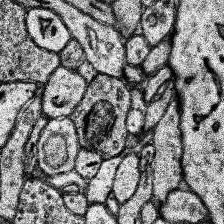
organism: Human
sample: Temporal Lobe